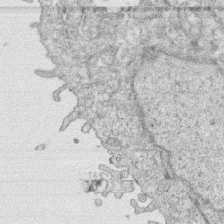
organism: Human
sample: HeLa cell HIV synapse